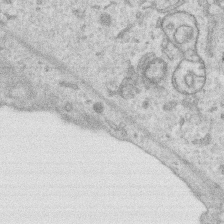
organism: Human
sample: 1205lu cells